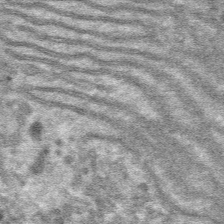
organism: Mouse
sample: Mouse hepatocytes